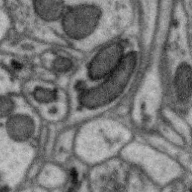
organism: Zebra finch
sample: Brain